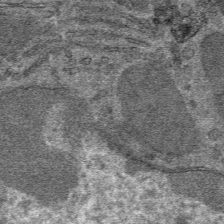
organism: Mouse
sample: Mouse hepatocytes